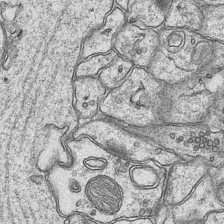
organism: Mouse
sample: CA1 Hippocampus